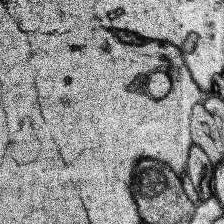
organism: Human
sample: Temporal Lobe